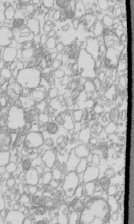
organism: Mouse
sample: Macrophages